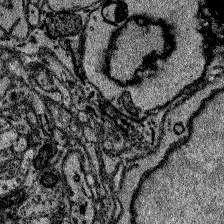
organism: Zebrafish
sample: Larval olfactory bulb